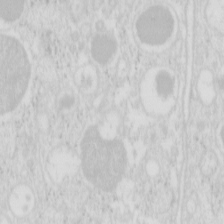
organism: Mouse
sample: Pancreas